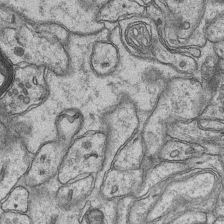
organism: Mouse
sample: CA1 Hippocampus